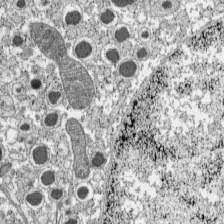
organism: C57BL Mouse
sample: Pancreatic islet